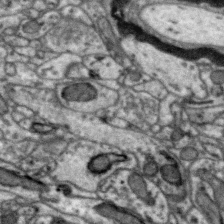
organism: Zebra finch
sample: Brain